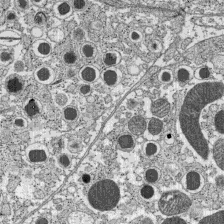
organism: C57BL Mouse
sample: Pancreatic islet